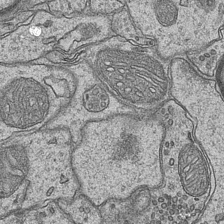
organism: Mouse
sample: CA1 Hippocampus